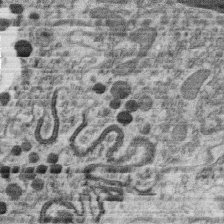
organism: C. elegans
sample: C. elegans oocyte; sperm cells